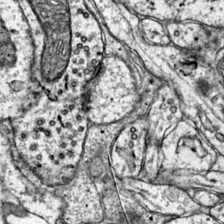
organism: Mouse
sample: Primary visual cortex